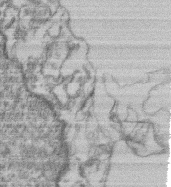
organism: Mouse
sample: T cell stromal cell synapse